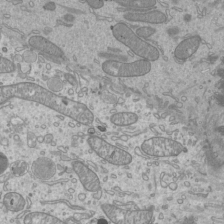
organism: Mouse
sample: Cilia; mouse epididymis